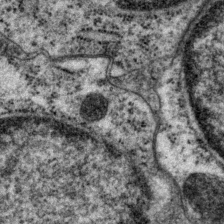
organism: P. pacificus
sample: Pharynx